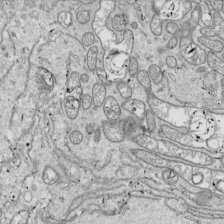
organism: Drosophila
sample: Cell division; meiosis; drosophila spermatocytes